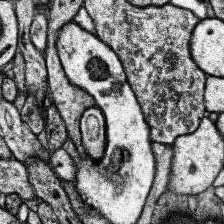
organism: Human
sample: Temporal Lobe